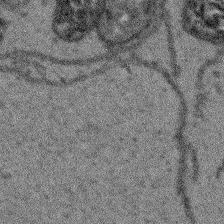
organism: Arabidopsis thaliana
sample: Root tip